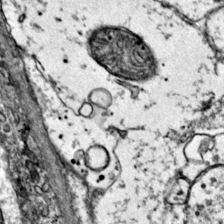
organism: Mouse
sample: Primary visual cortex